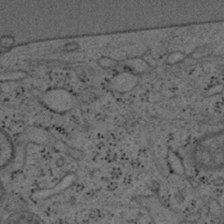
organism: Human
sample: HeLa cells